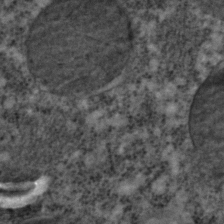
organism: C. elegans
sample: C. elegans embryo